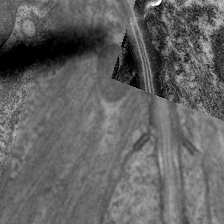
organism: C. elegans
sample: Pharynx